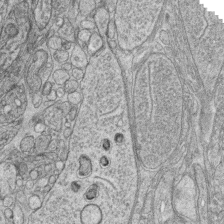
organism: Zebrafish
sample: synaptic ribbons in rod cells and cone cells